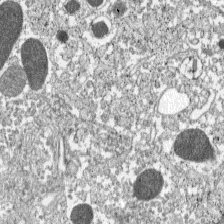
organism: C57BL Mouse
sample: Pancreatic islet